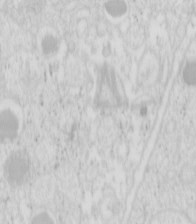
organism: Mouse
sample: Pancreas